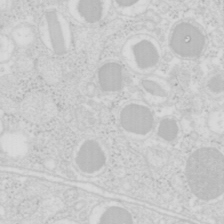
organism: Mouse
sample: Pancreas